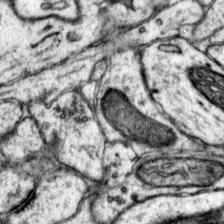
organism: Mouse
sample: Primary visual cortex